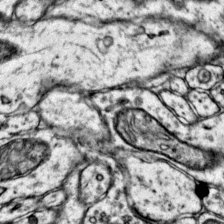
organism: Mouse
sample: Primary visual cortex